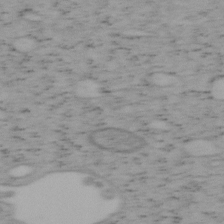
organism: Mouse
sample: OT-I killer T cells with ID8 ovarian cancer cells